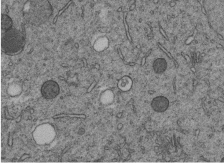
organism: C. elegans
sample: C. elegans embryo early stage